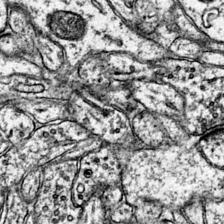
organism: Mouse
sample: Primary visual cortex